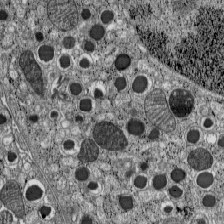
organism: C57BL Mouse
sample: Pancreatic islet